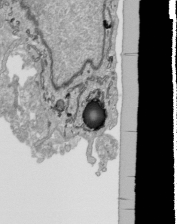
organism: Human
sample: Mitochondria in HCT116 cells